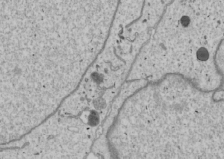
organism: Human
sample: Mitochondria in U2OS cells